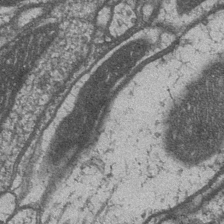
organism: Drosophila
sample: Optic medulla